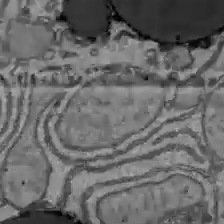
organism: C57BL Mouse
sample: Liver